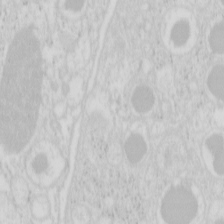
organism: Mouse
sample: Pancreas